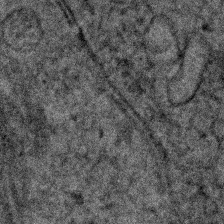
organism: Human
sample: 1205lu cells